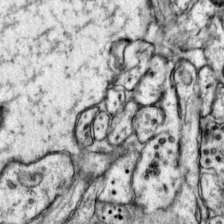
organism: Mouse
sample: Primary visual cortex